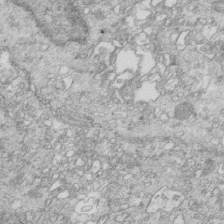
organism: Mouse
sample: Multiciliated cells